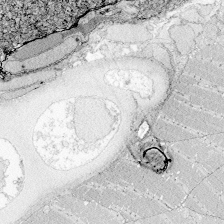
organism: Zebrafish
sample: Whole-Brain